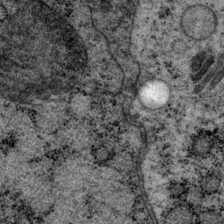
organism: P. pacificus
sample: Pharynx